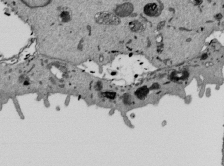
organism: Mouse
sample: ED-1 cell nuclei; centrioles